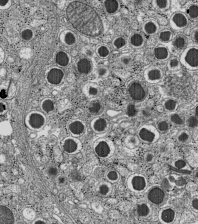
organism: C57BL Mouse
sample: Pancreatic islet